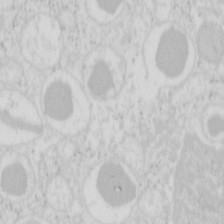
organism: Mouse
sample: Pancreas